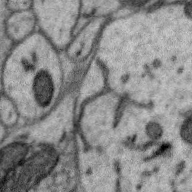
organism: Zebra finch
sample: Brain